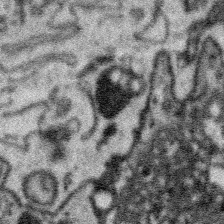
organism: Platynereis dumerilii